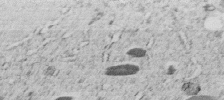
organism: C. elegans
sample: C. elegans embryo early stage